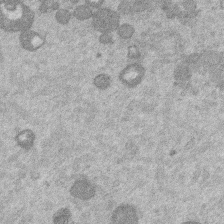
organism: Mouse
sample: Dividing mouse embryo 1 cell stage